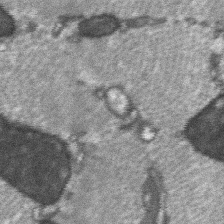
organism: C57BL Mouse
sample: Soleus